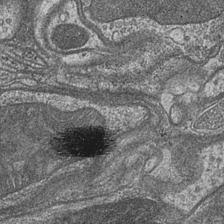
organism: Drosophila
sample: Optic medulla